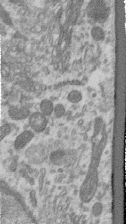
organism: Human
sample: Centriole in RPE cells